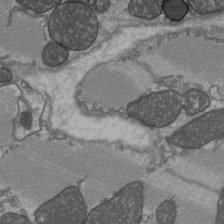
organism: C57BL Mouse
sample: Heart